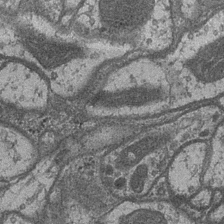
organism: Drosophila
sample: Optic medulla